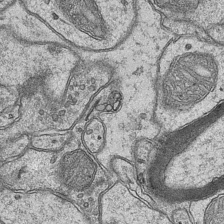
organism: Mouse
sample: CA1 Hippocampus